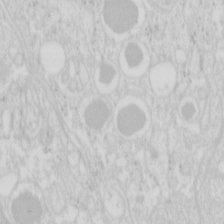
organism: Mouse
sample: Pancreas